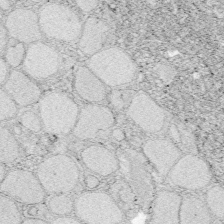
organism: Zebrafish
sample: Whole-Brain